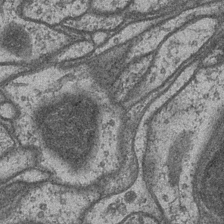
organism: Drosophila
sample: Optic medulla